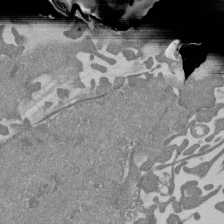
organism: Mouse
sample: ED-1 cell nuclei; centrioles